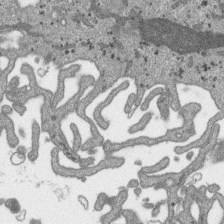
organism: Human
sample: Lung epithelial cells infected with SARS-CoV-2